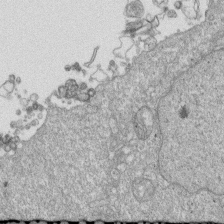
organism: Human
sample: HeLa cell HIV synapse